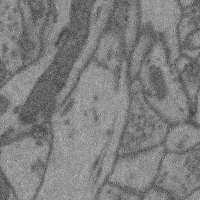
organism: Mouse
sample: Cerebral cortex